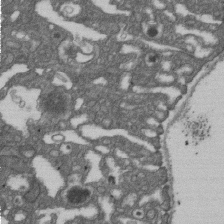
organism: Drosophila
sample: Nephrocyte